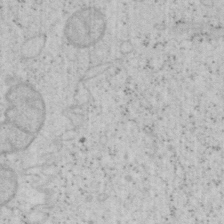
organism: Human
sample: HeLa cells